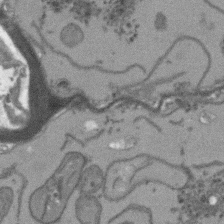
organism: Arabidopsis thaliana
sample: Root tip